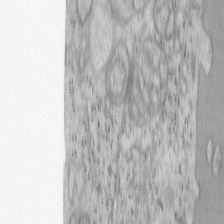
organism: Human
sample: HeLa cells